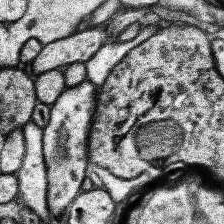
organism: Human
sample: Temporal Lobe